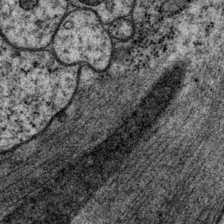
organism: P. pacificus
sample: Pharynx